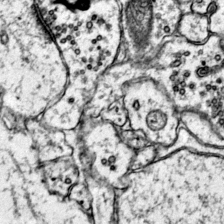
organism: Mouse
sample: Primary visual cortex